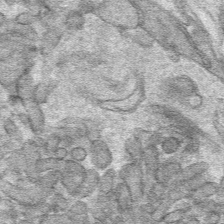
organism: Mouse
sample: Mouse hepatocytes